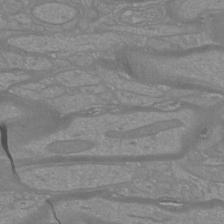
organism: Mouse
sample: Cortical neurons